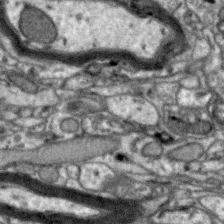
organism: Zebra finch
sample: Brain